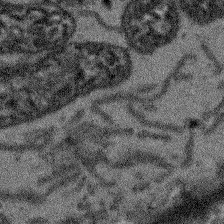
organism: Arabidopsis thaliana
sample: Root tip